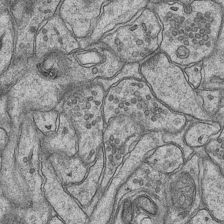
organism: Mouse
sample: CA1 Hippocampus